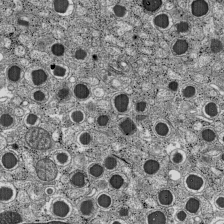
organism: C57BL Mouse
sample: Pancreatic islet